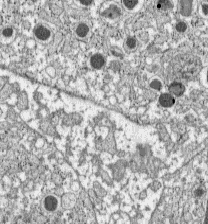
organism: C57BL Mouse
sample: Pancreatic islet